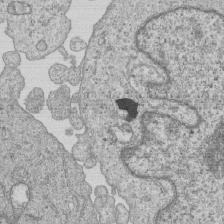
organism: Human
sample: MDA-MB-231 cells